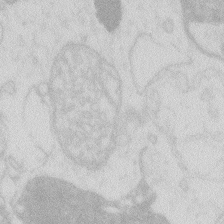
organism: Zebrafish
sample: Macrophage